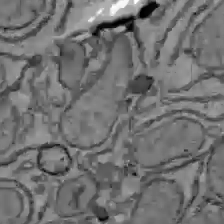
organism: C57BL Mouse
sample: Liver